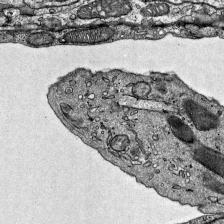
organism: Mouse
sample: Visual Cortex